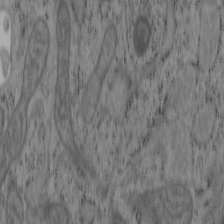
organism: Human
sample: HeLa cells